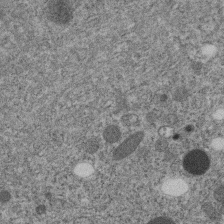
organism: C. elegans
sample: C. elegans embryo early stage